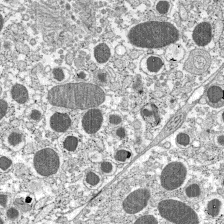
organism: C57BL Mouse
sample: Pancreatic islet